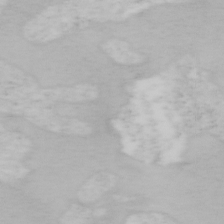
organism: Mouse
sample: OT-I killer T cells with ID8 ovarian cancer cells